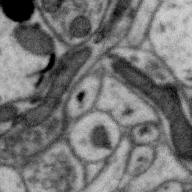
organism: Zebra finch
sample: Brain